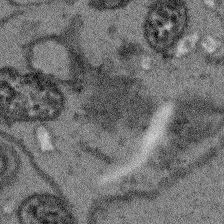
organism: Arabidopsis thaliana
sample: Root tip